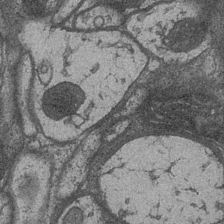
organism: Drosophila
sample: Optic medulla